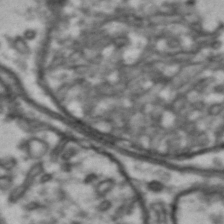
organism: Drosophila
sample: Brain